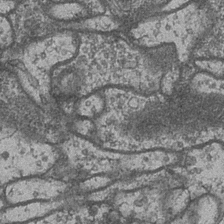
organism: Drosophila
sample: Optic medulla